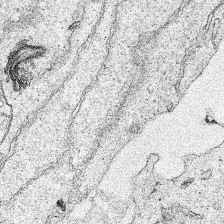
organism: Human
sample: Mitochondria in HCT116 cells